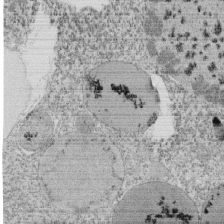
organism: Tetrahymena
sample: Cilia in tetrahymena